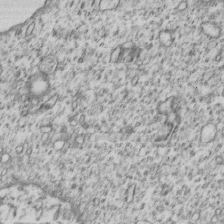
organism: Human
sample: MDA-MB-231 cells